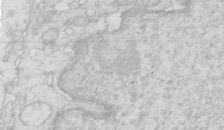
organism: Mouse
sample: Multiciliated cells